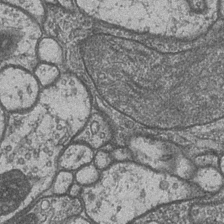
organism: Drosophila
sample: Optic medulla